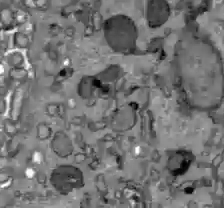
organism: C57BL Mouse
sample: Liver